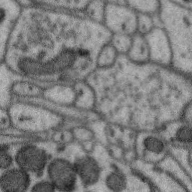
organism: Zebra finch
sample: Brain